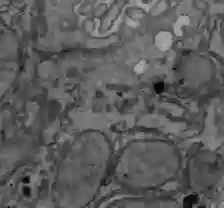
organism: C57BL Mouse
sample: Liver